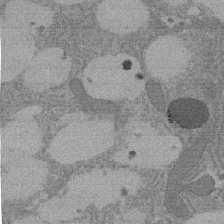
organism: Rat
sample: Salivary granule